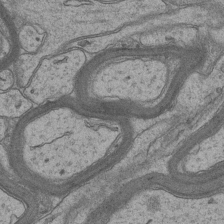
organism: Mouse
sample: CA1 Hippocampus